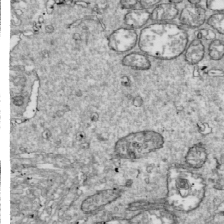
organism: Drosophila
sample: Cell division; meiosis; drosophila spermatocytes